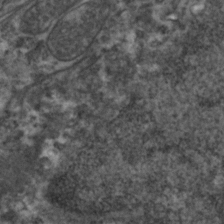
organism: Zebrafish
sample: Zebrafish embryo